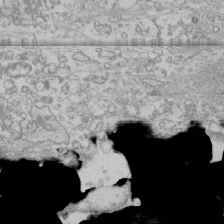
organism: Human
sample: CRL-1474